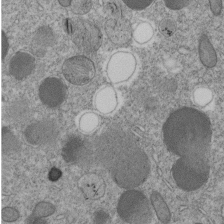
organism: C. elegans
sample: C. elegans embryo early stage